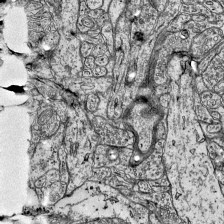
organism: Mouse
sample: Visual Cortex